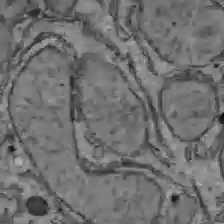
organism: C57BL Mouse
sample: Liver